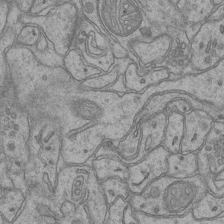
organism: Mouse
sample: CA1 Hippocampus